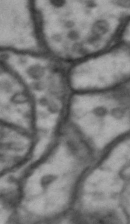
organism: Drosophila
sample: Brain